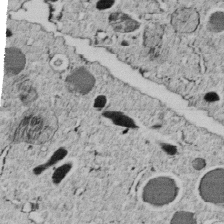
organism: C. elegans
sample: C. elegans embryo early stage